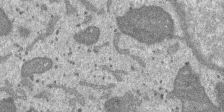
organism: Human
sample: Lung epithelial cells infected with SARS-CoV-2